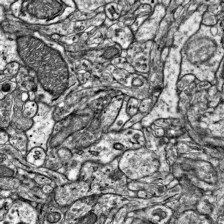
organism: Mouse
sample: Visual Cortex